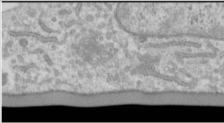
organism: Human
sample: Cilia; basal body in RPE cells